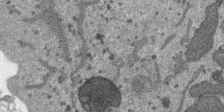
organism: Human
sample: Lung epithelial cells infected with SARS-CoV-2